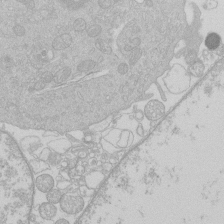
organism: Human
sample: Macrophage cells